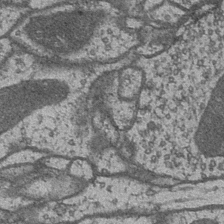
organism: Drosophila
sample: Optic medulla